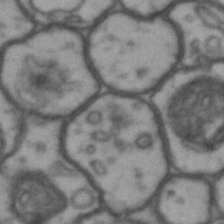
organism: Drosophila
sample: Brain